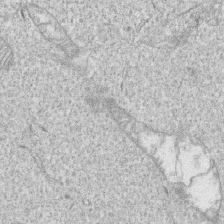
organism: Human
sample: HeLa cell HIV synapse